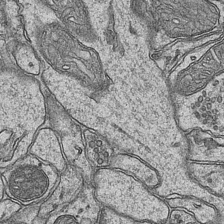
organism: Mouse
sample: CA1 Hippocampus